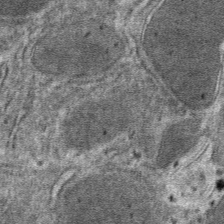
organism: Mouse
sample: Mouse hepatocytes